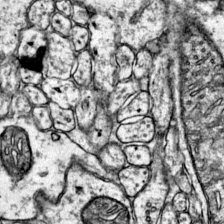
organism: Mouse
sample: Primary visual cortex